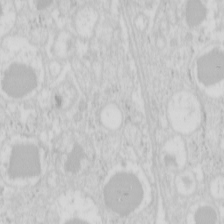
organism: Mouse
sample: Pancreas